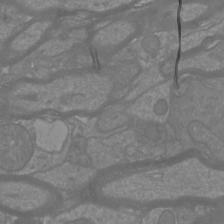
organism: Mouse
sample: Cortical neurons